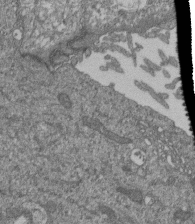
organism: Human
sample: Retinal organoid Rod and Cone cells